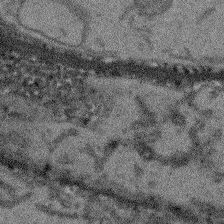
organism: Arabidopsis thaliana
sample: Root tip